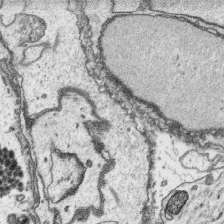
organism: Platynereis dumerilii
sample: Parapodia